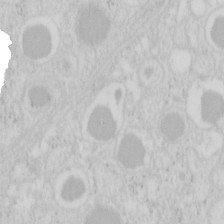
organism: Mouse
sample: Pancreas